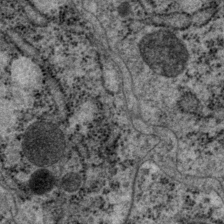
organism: P. pacificus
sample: Pharynx